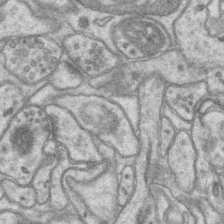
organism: Mouse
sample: CA1 Hippocampus